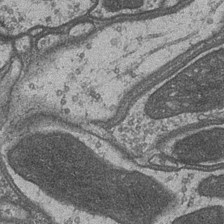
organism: Drosophila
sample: Optic medulla